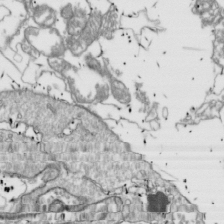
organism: Drosophila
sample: Cell division; meiosis; drosophila spermatocytes